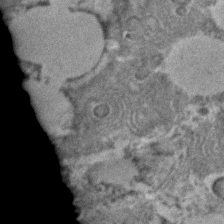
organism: C. elegans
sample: C. elegans embryo